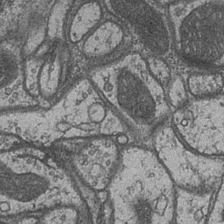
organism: Drosophila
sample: Optic medulla